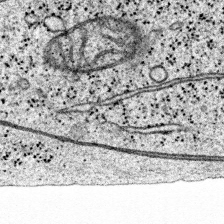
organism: Human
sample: HeLa cells